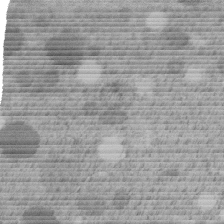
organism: C. elegans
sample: C. elegans embryo early stage